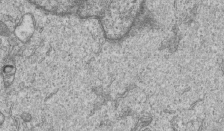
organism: Human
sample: MDA-MB-231 cells